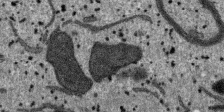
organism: Human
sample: Lung epithelial cells, uninfected (mock) control